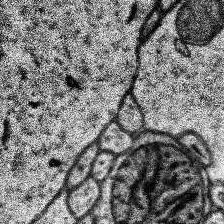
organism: Human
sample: Temporal Lobe